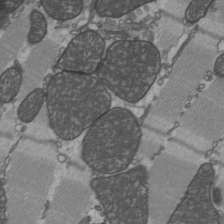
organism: C57BL Mouse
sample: Heart